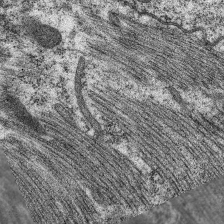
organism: C. elegans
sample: Pharynx